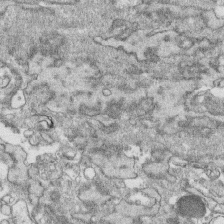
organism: Human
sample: CRL-1474